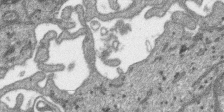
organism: Human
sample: Lung epithelial cells infected with SARS-CoV-2